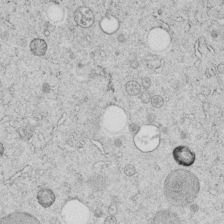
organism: C. elegans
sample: C. elegans embryo early stage